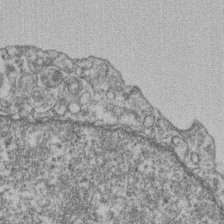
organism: Mouse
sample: T cell stromal cell synapse